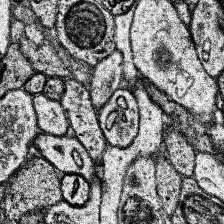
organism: Human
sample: Temporal Lobe